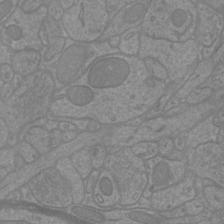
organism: Mouse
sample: Cortical neurons